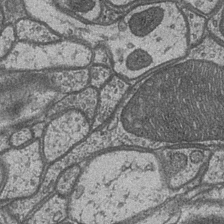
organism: Drosophila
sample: Optic medulla